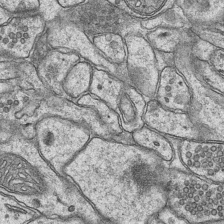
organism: Mouse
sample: CA1 Hippocampus